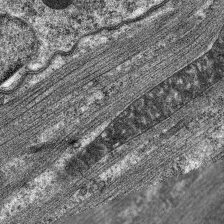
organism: C. elegans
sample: Pharynx